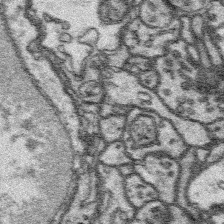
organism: Platynereis dumerilii